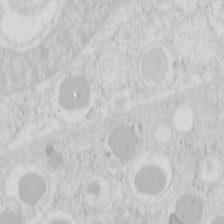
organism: Mouse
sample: Pancreas